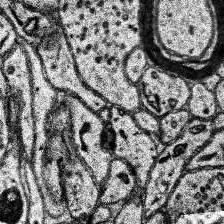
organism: Human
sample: Temporal Lobe